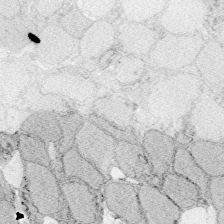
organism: Zebrafish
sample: Whole-Brain